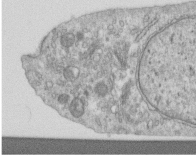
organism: Human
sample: Centriole in RPE cells